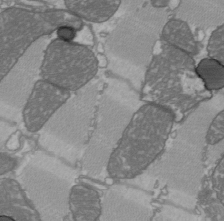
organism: C57BL Mouse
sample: Heart